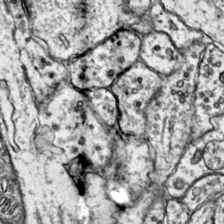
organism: Mouse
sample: Primary visual cortex